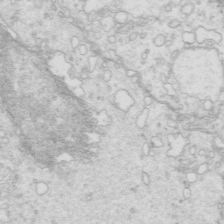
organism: Mouse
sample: Multiciliated cells